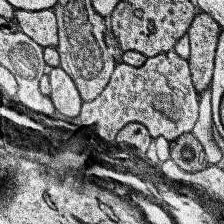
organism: Human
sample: Temporal Lobe